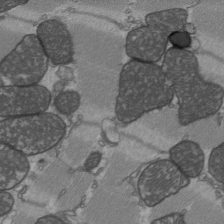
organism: C57BL Mouse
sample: Heart